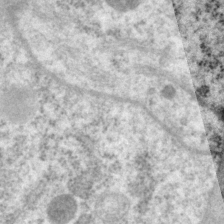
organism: P. pacificus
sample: Pharynx